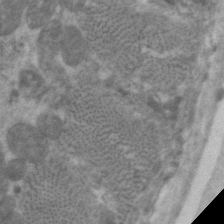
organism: C. elegans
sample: Pharynx